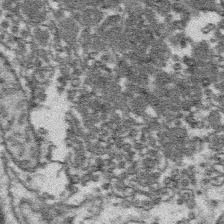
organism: Platynereis dumerilii